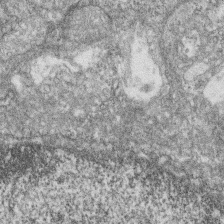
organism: Zebrafish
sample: Cilia; retinal pigment epithelium